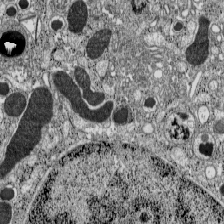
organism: C57BL Mouse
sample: Pancreatic islet